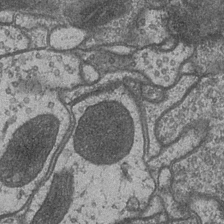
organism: Drosophila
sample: Optic medulla